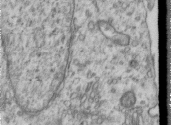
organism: Human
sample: Centriole in RPE cells